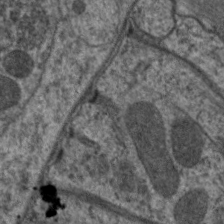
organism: C. elegans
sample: Pharynx